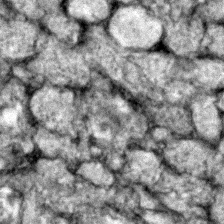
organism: Zebrafish